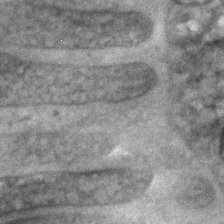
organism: C. elegans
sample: C. elegans embryo